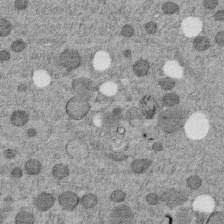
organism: C. elegans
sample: C. elegans embryo early stage